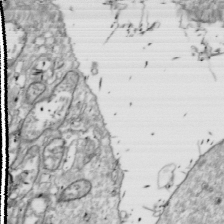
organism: Drosophila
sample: Cell division; meiosis; drosophila spermatocytes